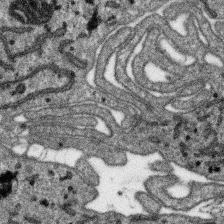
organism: Human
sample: Lung epithelial cells infected with SARS-CoV-2